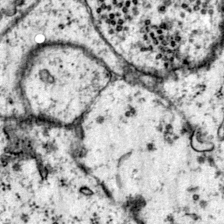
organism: Mouse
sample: Primary visual cortex